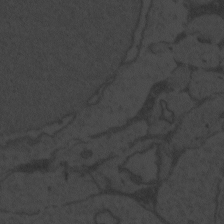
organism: Zebrafish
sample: Macrophage infected with Toxoplasma gondii